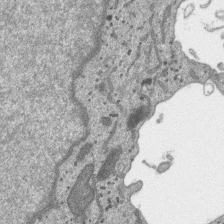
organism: Human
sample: Lung epithelial cells infected with SARS-CoV-2